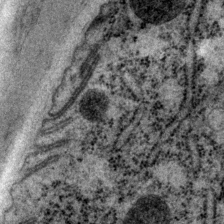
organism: P. pacificus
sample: Pharynx